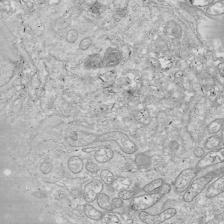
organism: Drosophila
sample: Cell division; meiosis; drosophila spermatocytes